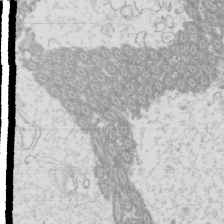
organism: Mouse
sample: Cilia; mouse epididymis